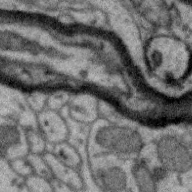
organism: Zebra finch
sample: Brain